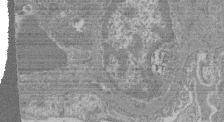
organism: Mouse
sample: Glomerulus